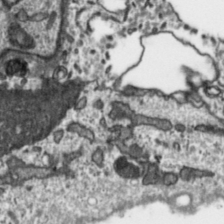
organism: Toxoplasma gondii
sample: Parasites in a vacuole inside a host cell